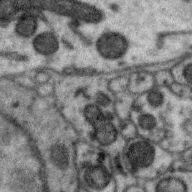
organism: Zebra finch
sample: Brain